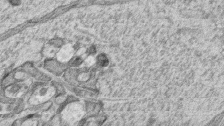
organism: Zebrafish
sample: synaptic ribbons in rod cells and cone cells